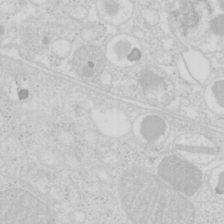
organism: Mouse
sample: Pancreas